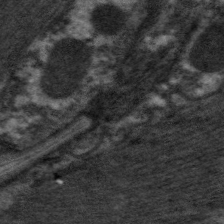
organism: C. elegans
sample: Pharynx